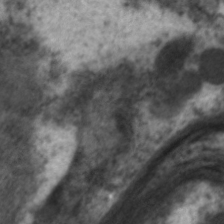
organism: C. elegans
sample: Pharynx